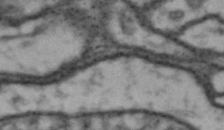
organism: Drosophila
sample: Brain